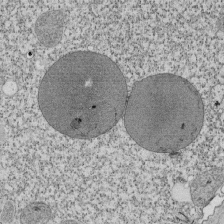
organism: Tetrahymena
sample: Cilia in tetrahymena